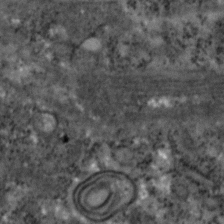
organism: Zebrafish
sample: Zebrafish embryo